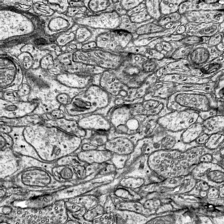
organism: Mouse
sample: Visual Cortex